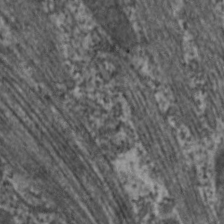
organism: C. elegans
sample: Pharynx